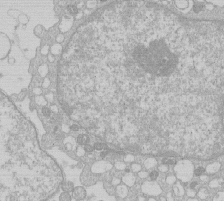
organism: Human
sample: Macrophage cells